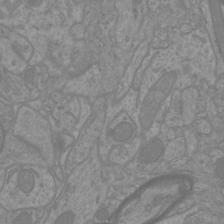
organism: Mouse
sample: Cortical neurons